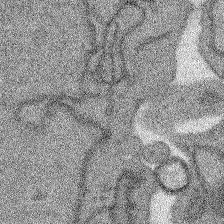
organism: Human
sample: HeLa cells